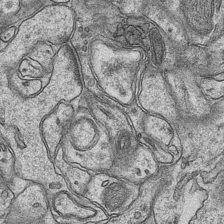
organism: Mouse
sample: CA1 Hippocampus